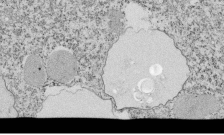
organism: Tetrahymena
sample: Cilia in tetrahymena